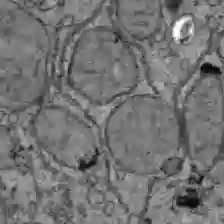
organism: C57BL Mouse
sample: Liver